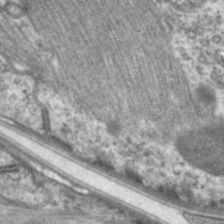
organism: C. elegans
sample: Pharynx